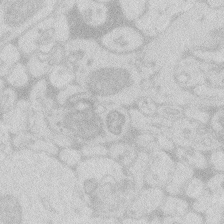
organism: Zebrafish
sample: Macrophage